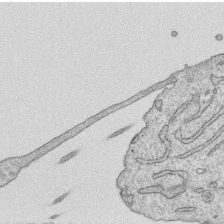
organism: Human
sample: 1205lu cells